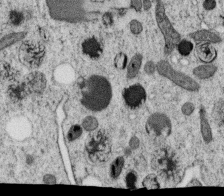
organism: C. elegans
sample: C. elegans oocyte; sperm cells